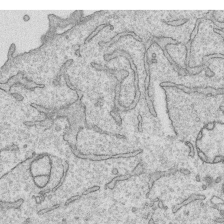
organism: Human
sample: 1205lu cells